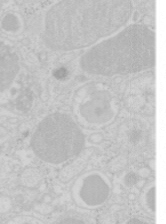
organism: Mouse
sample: Pancreas